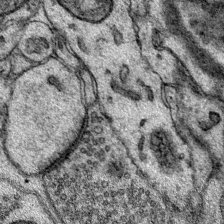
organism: Mouse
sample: Primary visual cortex